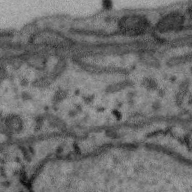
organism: Zebra finch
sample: Brain